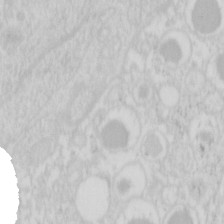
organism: Mouse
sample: Pancreas